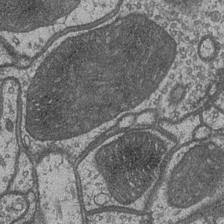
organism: Drosophila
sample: Optic medulla